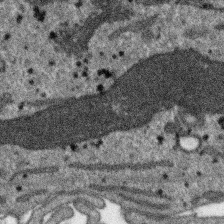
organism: Human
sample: Lung epithelial cells infected with SARS-CoV-2